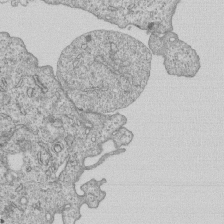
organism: Human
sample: MDA-MB-231 cells